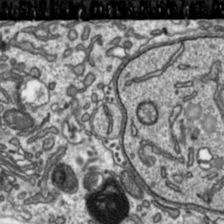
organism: Toxoplasma gondii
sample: Parasites in a vacuole inside a host cell